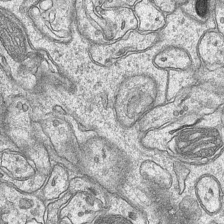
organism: Mouse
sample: CA1 Hippocampus